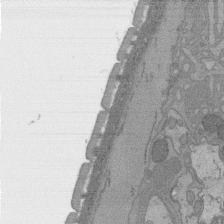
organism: C. elegans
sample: AFD neurons C. elegans